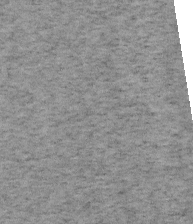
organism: Mouse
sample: OT-I killer T cells with ID8 ovarian cancer cells